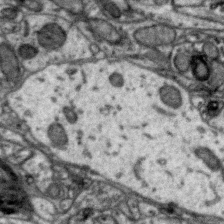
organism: Zebra finch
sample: Brain